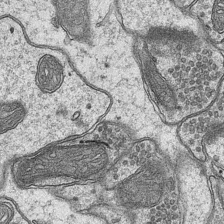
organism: Mouse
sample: CA1 Hippocampus